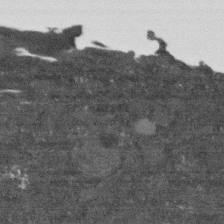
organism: Human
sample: Fibroblast cells